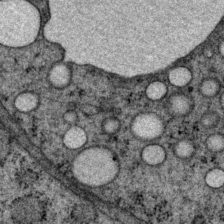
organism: P. pacificus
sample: Pharynx